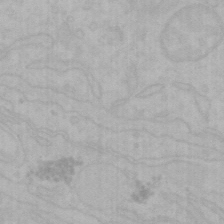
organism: Mouse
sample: Choroid plexus